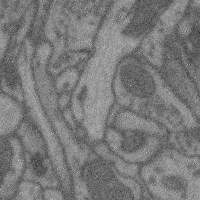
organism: Mouse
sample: Cerebral cortex